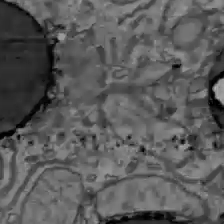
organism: C57BL Mouse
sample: Liver